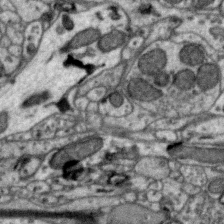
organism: Zebra finch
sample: Brain